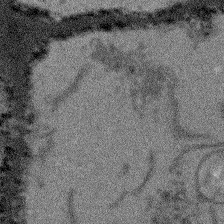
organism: Arabidopsis thaliana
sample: Root tip